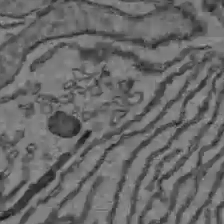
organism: C57BL Mouse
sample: Liver